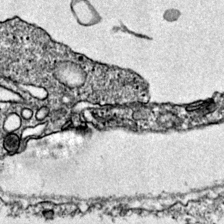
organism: Mouse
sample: Primary visual cortex